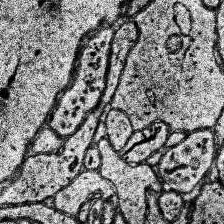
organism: Human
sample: Temporal Lobe